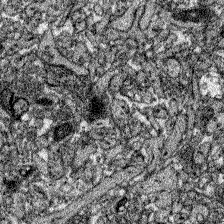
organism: Zebrafish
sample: Larval olfactory bulb